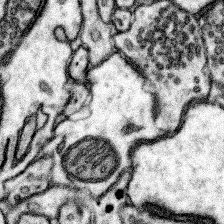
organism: Mouse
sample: Somatosensory cortex neuropil